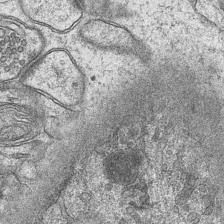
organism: Mouse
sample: CA1 Hippocampus